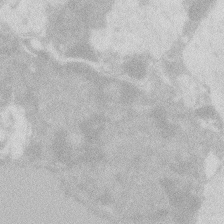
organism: Zebrafish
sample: Macrophage